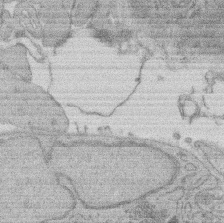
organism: Rat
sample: Salivary granule